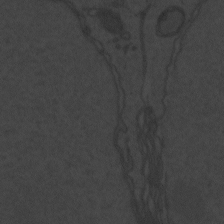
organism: Zebrafish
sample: Macrophage infected with Toxoplasma gondii